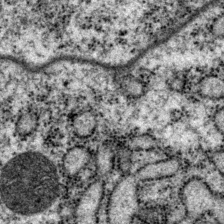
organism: P. pacificus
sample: Pharynx